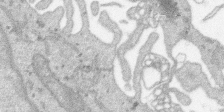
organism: Human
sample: Lung epithelial cells infected with SARS-CoV-2